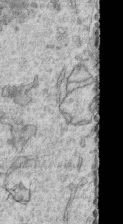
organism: Human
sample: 1205lu cells